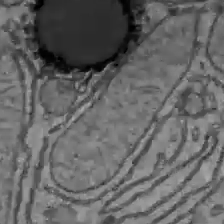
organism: C57BL Mouse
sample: Liver